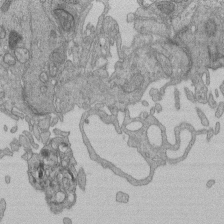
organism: Human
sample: Retinal organoid Rod and Cone cells